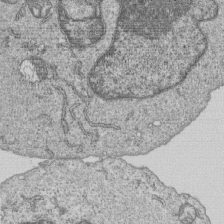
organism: Human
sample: MDA-MB-231 cells